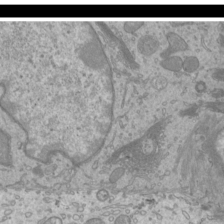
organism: Mouse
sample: Cilia; mouse epididymis